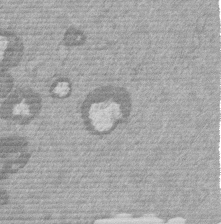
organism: Mouse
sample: Dividing mouse embryo 1 cell stage